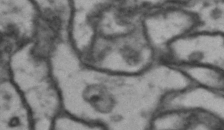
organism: Drosophila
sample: Brain